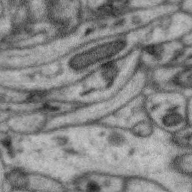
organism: Zebra finch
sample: Brain